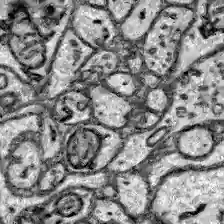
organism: Zebrafish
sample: Brain